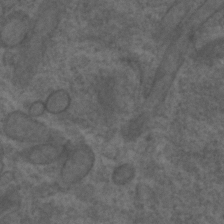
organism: C. elegans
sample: C. elegans embryo